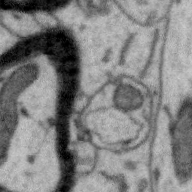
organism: Zebra finch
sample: Brain